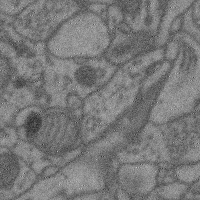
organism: Mouse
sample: Cerebral cortex